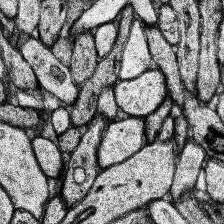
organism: Human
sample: Temporal Lobe